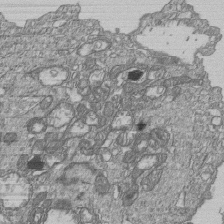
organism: Human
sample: MDA-MB-231 cells